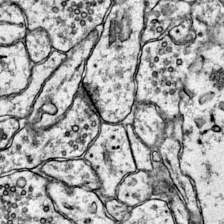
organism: Mouse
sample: Primary visual cortex